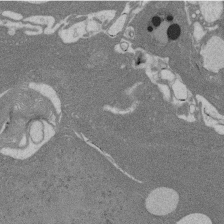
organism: Rat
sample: Salivary granule